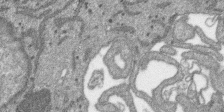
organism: Human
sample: Lung epithelial cells infected with SARS-CoV-2